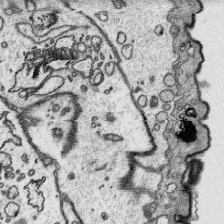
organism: Platynereis dumerilii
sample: Parapodia